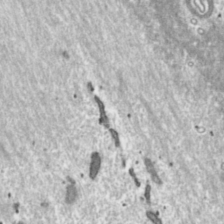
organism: Toxoplasma gondii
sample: Parasites in a vacuole inside a host cell